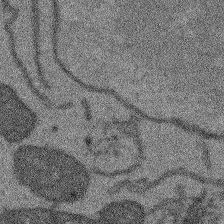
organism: Arabidopsis thaliana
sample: Root tip